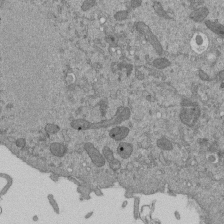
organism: Mouse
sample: ED-1 cell nuclei; centrioles